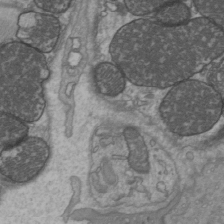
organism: C57BL Mouse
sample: Heart